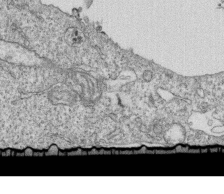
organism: Human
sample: HeLa cell HIV synapse